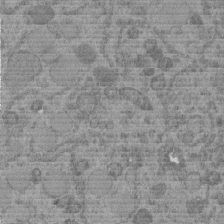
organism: C. elegans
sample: C. elegans embryo early stage